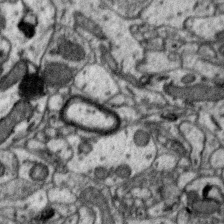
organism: Zebra finch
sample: Brain